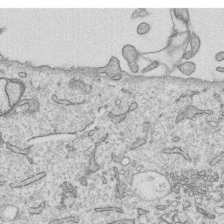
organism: Human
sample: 1205lu cells